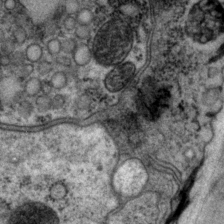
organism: P. pacificus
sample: Pharynx